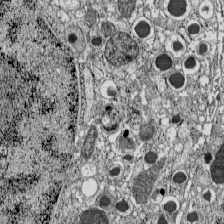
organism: C57BL Mouse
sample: Pancreatic islet